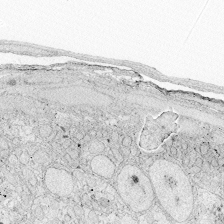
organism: Zebrafish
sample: Whole-Brain